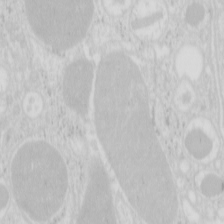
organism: Mouse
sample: Pancreas